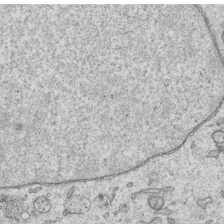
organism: Human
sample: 1205lu cells